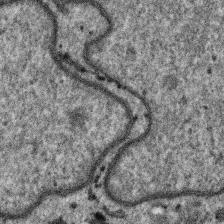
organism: Human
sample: Lung epithelial cells infected with SARS-CoV-2